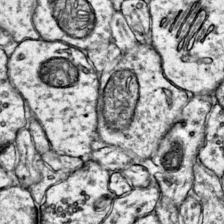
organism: Mouse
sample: Primary visual cortex